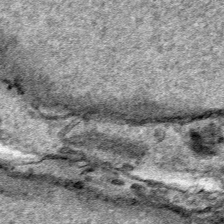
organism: Human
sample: Mitochondria in HCT116 cells